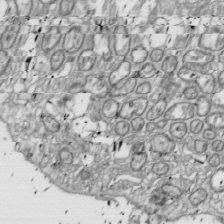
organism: Drosophila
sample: Cell division; meiosis; drosophila spermatocytes